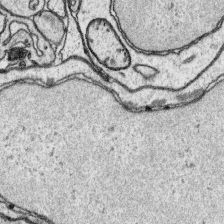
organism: Platynereis dumerilii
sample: Parapodia